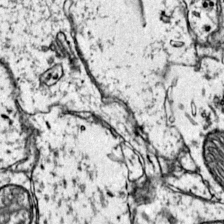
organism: Mouse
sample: Primary visual cortex